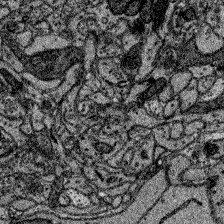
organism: Zebrafish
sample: Larval olfactory bulb